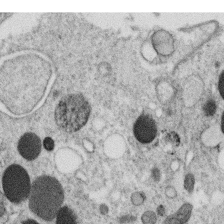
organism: C. elegans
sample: C. elegans oocyte; sperm cells